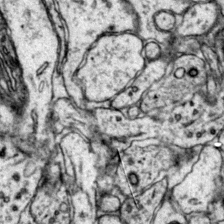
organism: Mouse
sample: Primary visual cortex